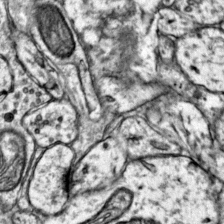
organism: Mouse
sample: Primary visual cortex